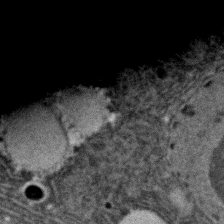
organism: C. elegans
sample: C. elegans embryo